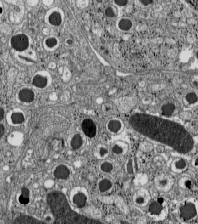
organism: C57BL Mouse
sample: Pancreatic islet